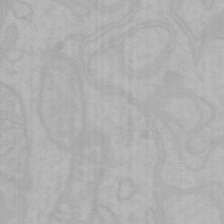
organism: Mouse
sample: Choroid plexus